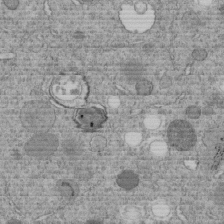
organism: C. elegans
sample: C. elegans embryo early stage